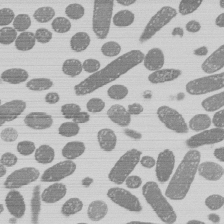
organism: E. coli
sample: Bacterial nucleoid